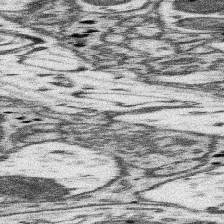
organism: Mouse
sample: Somatosensory cortex neuropil